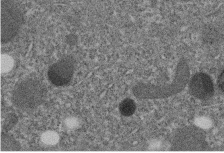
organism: C. elegans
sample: C. elegans embryo early stage